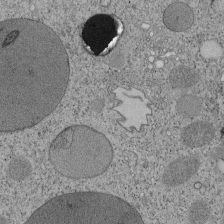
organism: Tetrahymena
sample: Cilia in tetrahymena